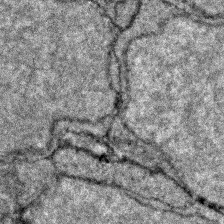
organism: Zebrafish